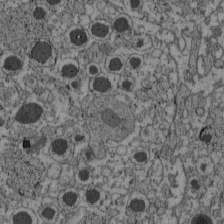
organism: C57BL Mouse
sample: Pancreatic islet